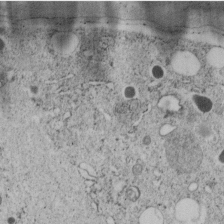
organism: C. elegans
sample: C. elegans embryo early stage